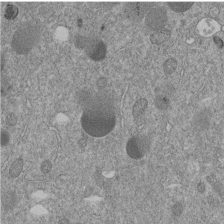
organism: C. elegans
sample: C. elegans embryo early stage